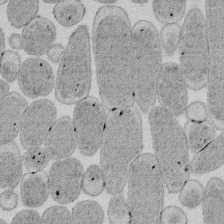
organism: E. coli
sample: Bacterial nucleoid